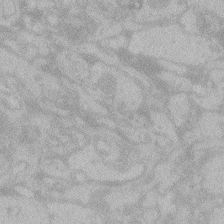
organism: Zebrafish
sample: Macrophage infected with Toxoplasma gondii